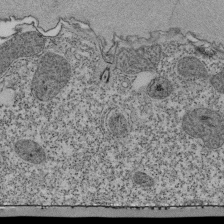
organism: Tetrahymena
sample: Cilia in tetrahymena